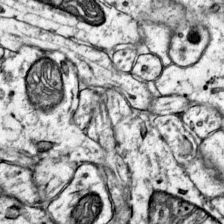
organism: Mouse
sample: Primary visual cortex